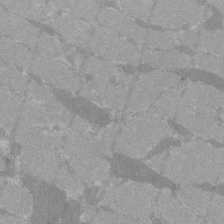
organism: C57BL Mouse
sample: Tibialis anterior muscle cell